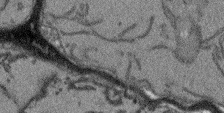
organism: Arabidopsis thaliana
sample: Root tip